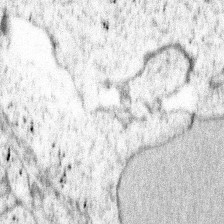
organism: Human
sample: HeLa cells